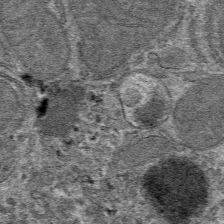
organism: Mouse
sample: Mouse hepatocytes